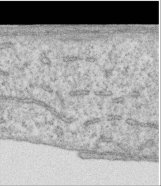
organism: Human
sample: Centriole in RPE cells